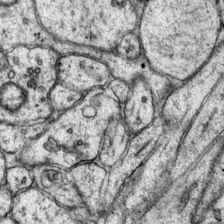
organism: Mouse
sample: Primary visual cortex